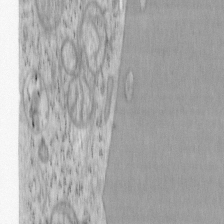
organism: Human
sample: HeLa cells